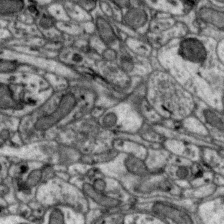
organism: Zebra finch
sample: Brain